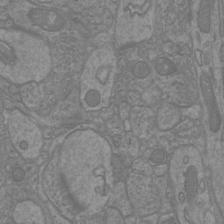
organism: Mouse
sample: Cortical neurons